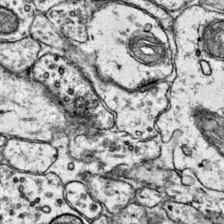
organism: Mouse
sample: Primary visual cortex